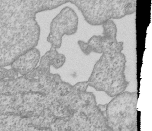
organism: Human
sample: MDA-MB-231 cells